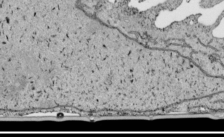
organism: Human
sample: Mitochondria in HCT116 cells